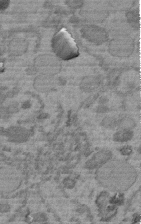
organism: C. elegans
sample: C. elegans embryo early stage